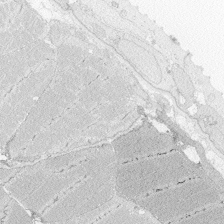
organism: Zebrafish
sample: Whole-Brain